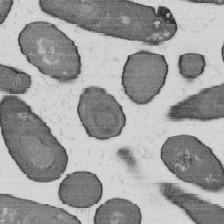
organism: B. subtilis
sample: Bacterial spore